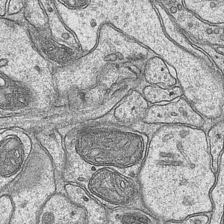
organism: Mouse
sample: CA1 Hippocampus